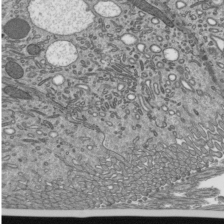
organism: Mouse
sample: Mouse epididymis efferent ductule cilia